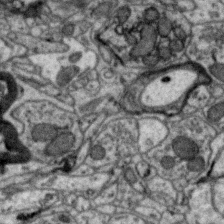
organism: Zebra finch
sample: Brain